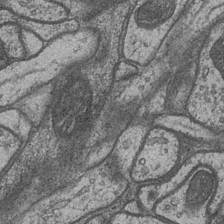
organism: Drosophila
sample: Optic medulla